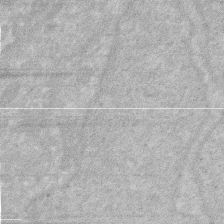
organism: Human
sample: HIV infected U937 cells